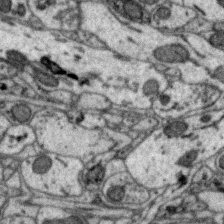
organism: Zebra finch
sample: Brain